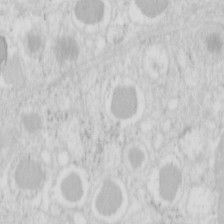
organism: Mouse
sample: Pancreas